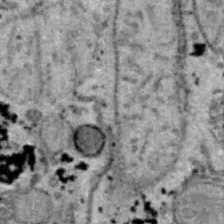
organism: Mouse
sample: Liver from an obese (ob/ob) mouse